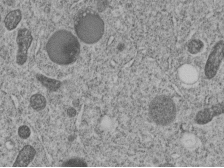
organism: C. elegans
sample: C. elegans embryo early stage